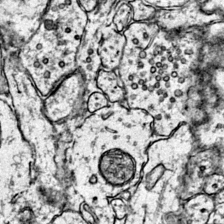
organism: Mouse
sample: Primary visual cortex